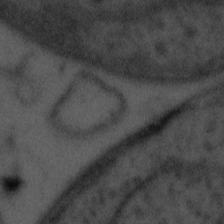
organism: Tuwongella immobilis